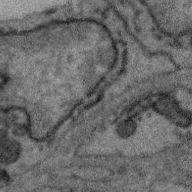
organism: Zebra finch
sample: Brain